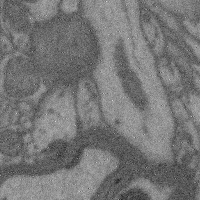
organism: Mouse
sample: Cerebral cortex